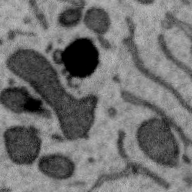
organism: Zebra finch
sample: Brain